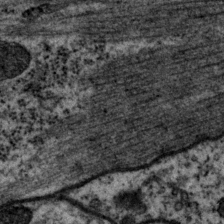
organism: P. pacificus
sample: Pharynx